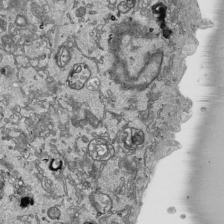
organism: Human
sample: Mitochondria in HCT116 cells